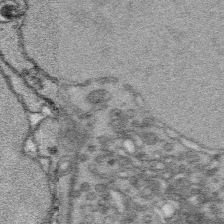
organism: Platynereis dumerilii